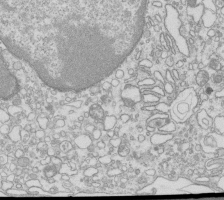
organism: Mouse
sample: Macrophages